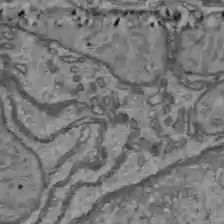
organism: C57BL Mouse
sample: Liver